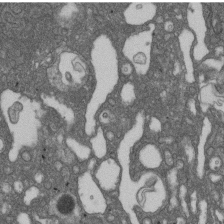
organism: Drosophila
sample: Nephrocyte